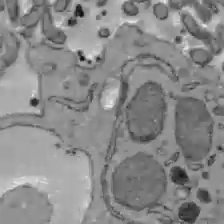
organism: C57BL Mouse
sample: Liver